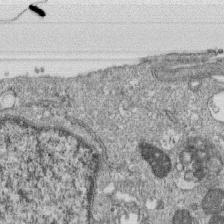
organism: African green monkey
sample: Vero E6 cells infected with SARS-CoV-2